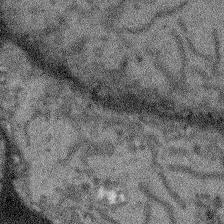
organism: Arabidopsis thaliana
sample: Root tip